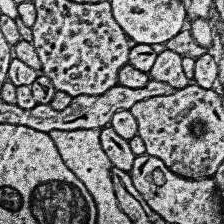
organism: Human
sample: Temporal Lobe